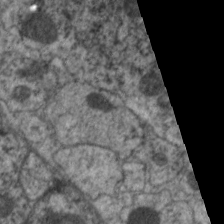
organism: C. elegans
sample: Pharynx